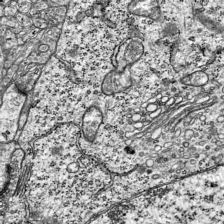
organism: Mouse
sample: Visual Cortex